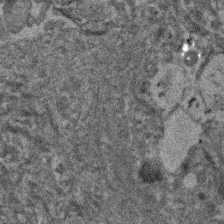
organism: Human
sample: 1205lu cells